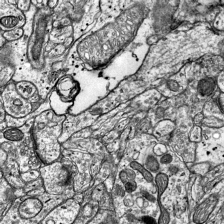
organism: Mouse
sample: Visual Cortex